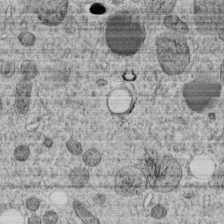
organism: C. elegans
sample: C. elegans embryo early stage